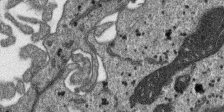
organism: Human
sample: Lung epithelial cells infected with SARS-CoV-2